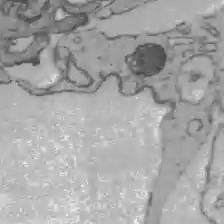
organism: C57BL Mouse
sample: Liver